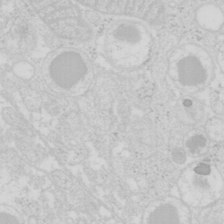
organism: Mouse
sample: Pancreas